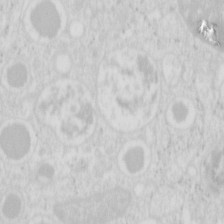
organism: Mouse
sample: Pancreas